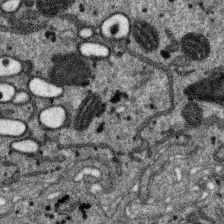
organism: Human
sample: Lung epithelial cells infected with SARS-CoV-2